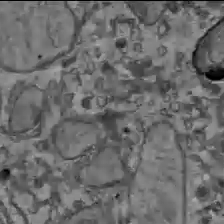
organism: C57BL Mouse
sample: Liver